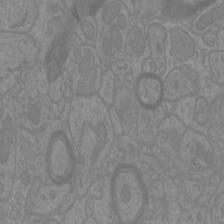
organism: Mouse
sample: Cortical neurons